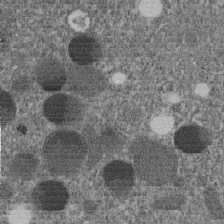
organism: C. elegans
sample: C. elegans embryo early stage